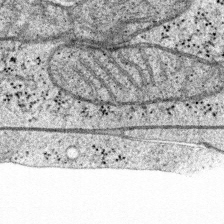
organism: Human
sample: HeLa cells